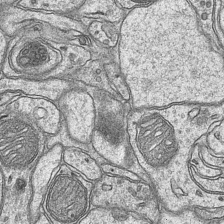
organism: Mouse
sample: CA1 Hippocampus